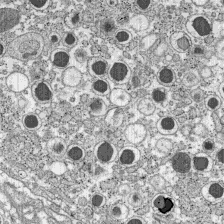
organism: C57BL Mouse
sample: Pancreatic islet